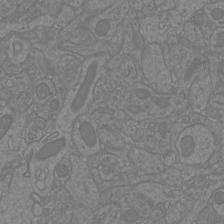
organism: Mouse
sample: Cortical neurons